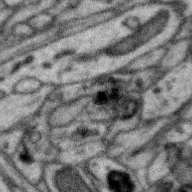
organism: Zebra finch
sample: Brain